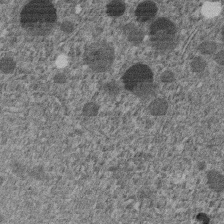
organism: C. elegans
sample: C. elegans embryo early stage